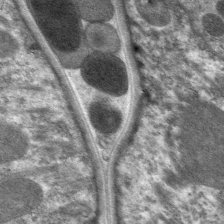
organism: C. elegans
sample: Pharynx